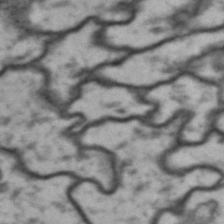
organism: Drosophila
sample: Brain